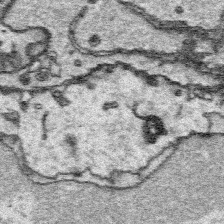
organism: Platynereis dumerilii